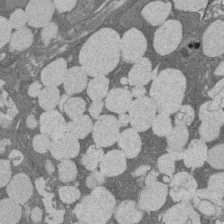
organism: Rat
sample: Salivary granule